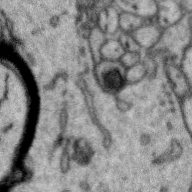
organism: Zebra finch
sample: Brain